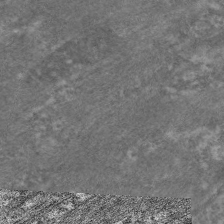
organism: C. elegans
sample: Pharynx